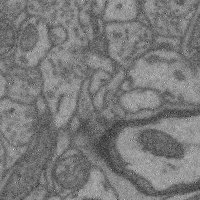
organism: Mouse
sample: Cerebral cortex